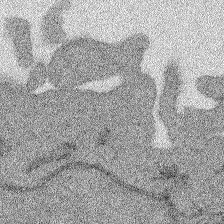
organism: Human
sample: HeLa cells